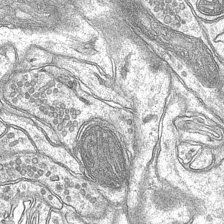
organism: Mouse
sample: CA1 Hippocampus